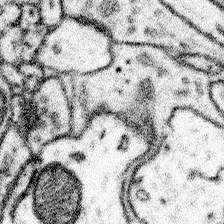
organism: Mouse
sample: Somatosensory cortex neuropil